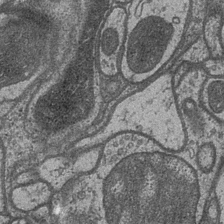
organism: Drosophila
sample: Optic medulla